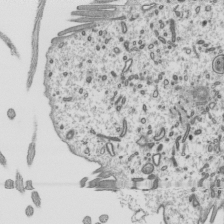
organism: Mouse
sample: Mouse epididymis efferent ductule cilia